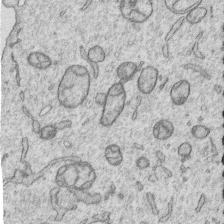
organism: Human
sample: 1205lu cells